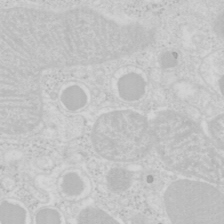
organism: Mouse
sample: Pancreas